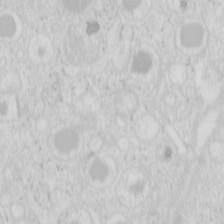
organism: Mouse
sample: Pancreas